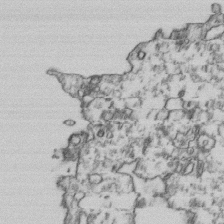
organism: Human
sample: Activated Jurkat CD4+ T cells